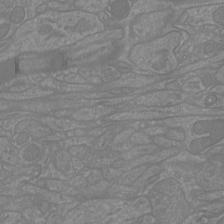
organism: Mouse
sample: Cortical neurons